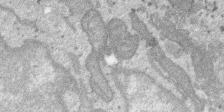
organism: Human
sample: Lung epithelial cells infected with SARS-CoV-2